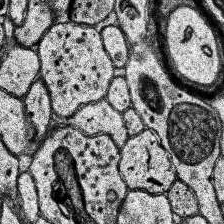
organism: Human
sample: Temporal Lobe